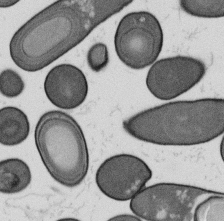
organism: B. subtilis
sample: Bacterial spore